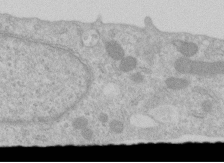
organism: Human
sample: Centriole in RPE cells